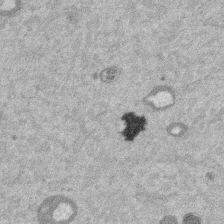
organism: Mouse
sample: Dividing mouse embryo 1 cell stage